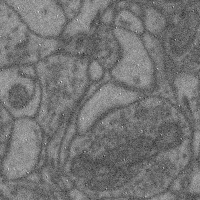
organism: Mouse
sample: Cerebral cortex